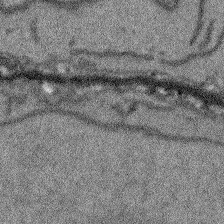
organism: Arabidopsis thaliana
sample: Root tip